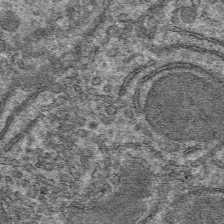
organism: Mouse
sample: Mouse hepatocytes